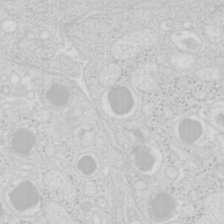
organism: Mouse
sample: Pancreas